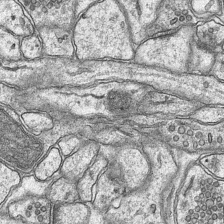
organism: Mouse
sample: CA1 Hippocampus